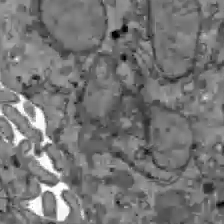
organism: C57BL Mouse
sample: Liver